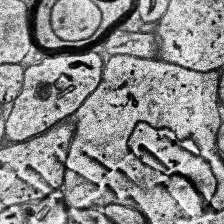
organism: Human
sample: Temporal Lobe